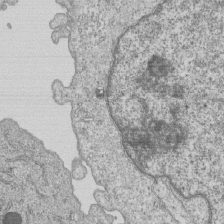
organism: Human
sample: MDA-MB-231 cells